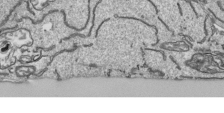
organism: Human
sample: Mitochondria in HCT116 cells